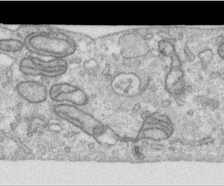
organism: Human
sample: Centriole in RPE cells